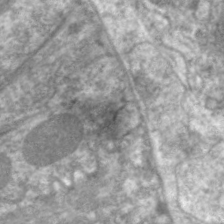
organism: C. elegans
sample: Pharynx